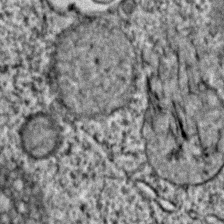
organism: C. elegans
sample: C. elegans embryo